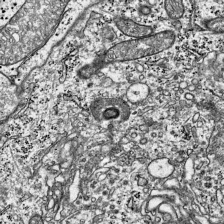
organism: Mouse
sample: Visual Cortex